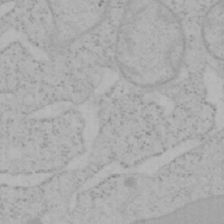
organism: Mouse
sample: OT-I killer T cells with ID8 ovarian cancer cells